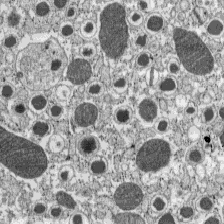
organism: C57BL Mouse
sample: Pancreatic islet